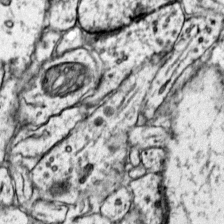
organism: Mouse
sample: Primary visual cortex